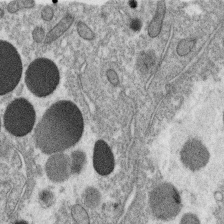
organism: C. elegans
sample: C. elegans oocyte; sperm cells